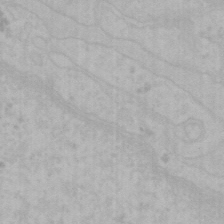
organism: Mouse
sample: Choroid plexus